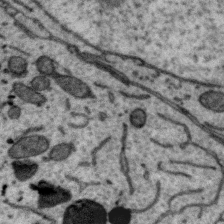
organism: Zebra finch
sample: Brain